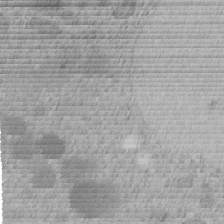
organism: C. elegans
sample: C. elegans embryo early stage